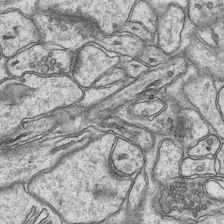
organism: Mouse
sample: CA1 Hippocampus